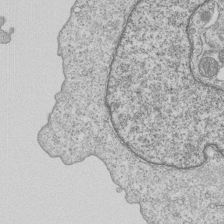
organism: Human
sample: MDA-MB-231 cells